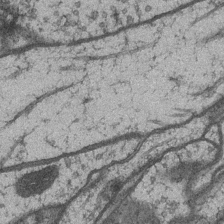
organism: Drosophila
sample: Optic medulla